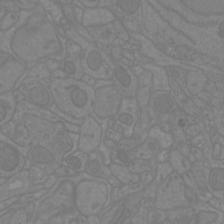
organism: Mouse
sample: Cortical neurons